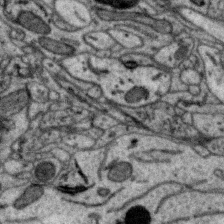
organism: Zebra finch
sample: Brain